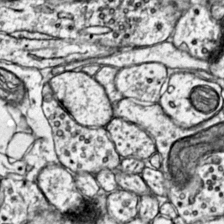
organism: Mouse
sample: Primary visual cortex